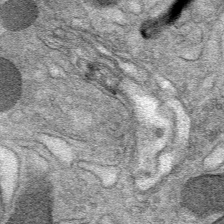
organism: Mouse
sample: Mouse Salivary gland